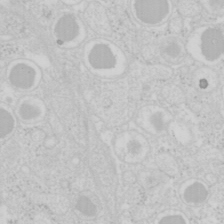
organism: Mouse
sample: Pancreas